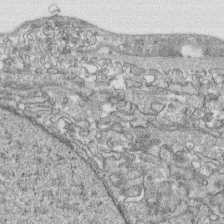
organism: Human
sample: CRL-1474